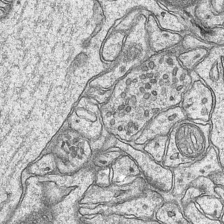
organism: Mouse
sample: CA1 Hippocampus